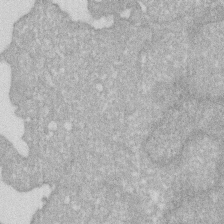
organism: Human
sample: HIV infected U937 cells